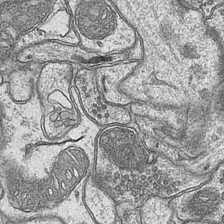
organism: Mouse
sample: CA1 Hippocampus